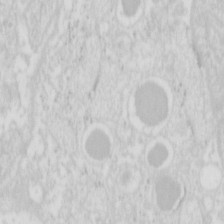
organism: Mouse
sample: Pancreas